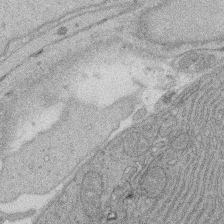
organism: Rat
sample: Salivary granule